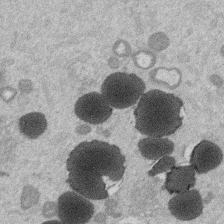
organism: Mouse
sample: Dividing mouse embryo 1 cell stage